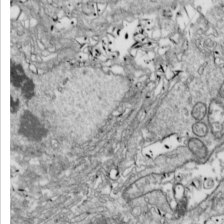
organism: Drosophila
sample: Cell division; meiosis; drosophila spermatocytes